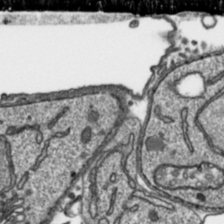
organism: Toxoplasma gondii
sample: Parasites in a vacuole inside a host cell